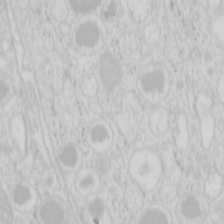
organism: Mouse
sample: Pancreas